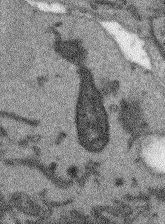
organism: Arabidopsis thaliana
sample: Root tip